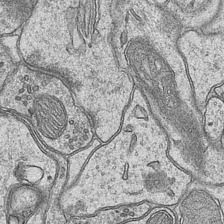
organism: Mouse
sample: CA1 Hippocampus